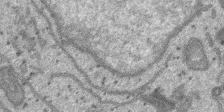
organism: Human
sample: Lung epithelial cells infected with SARS-CoV-2